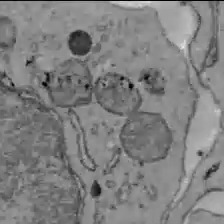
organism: C57BL Mouse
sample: Liver